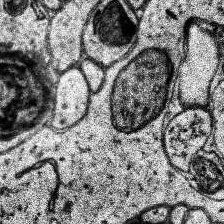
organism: Human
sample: Temporal Lobe